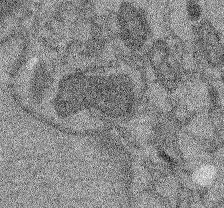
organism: Human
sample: HeLa cells